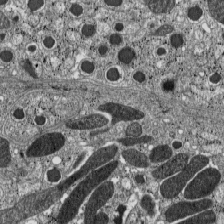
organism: C57BL Mouse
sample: Pancreatic islet